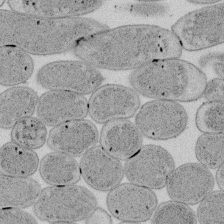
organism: E. coli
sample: Bacterial nucleoid